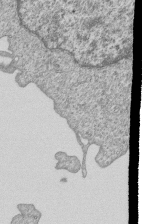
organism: Human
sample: MDA-MB-231 cells